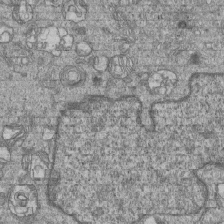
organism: Human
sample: MDA-MB-231 cells